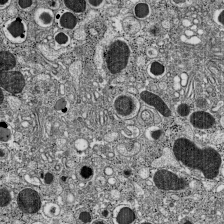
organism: C57BL Mouse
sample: Pancreatic islet